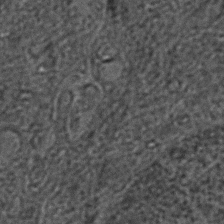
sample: Trachea